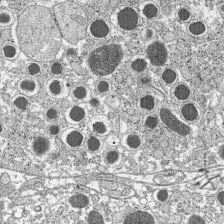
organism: C57BL Mouse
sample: Pancreatic islet